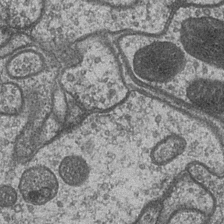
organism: Drosophila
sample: Optic medulla